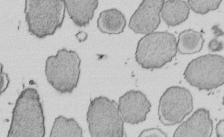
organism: E. coli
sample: Bacterial nucleoid